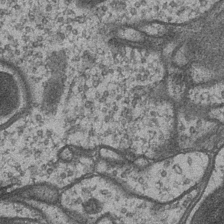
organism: Drosophila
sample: Optic medulla